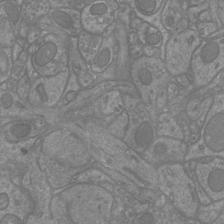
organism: Mouse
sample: Cortical neurons